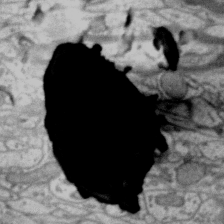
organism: Zebra finch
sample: Brain